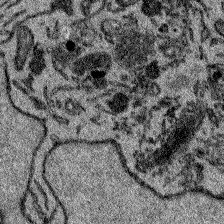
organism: Zebrafish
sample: Larval olfactory bulb